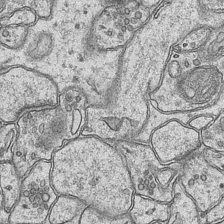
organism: Mouse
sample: CA1 Hippocampus